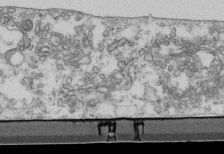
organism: Mouse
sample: Cilia; retinal pigment epithelium